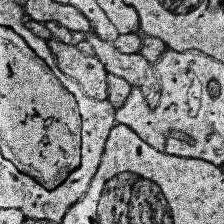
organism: Human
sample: Temporal Lobe